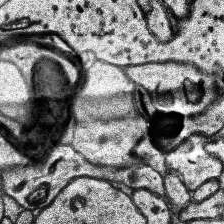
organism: Human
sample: Temporal Lobe